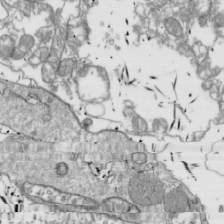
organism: Drosophila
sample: Cell division; meiosis; drosophila spermatocytes